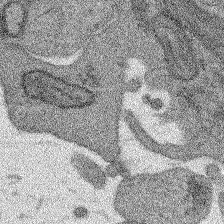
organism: Human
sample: HeLa cells